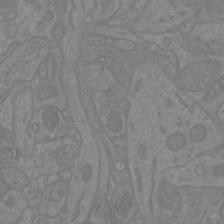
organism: Mouse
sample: Cortical neurons